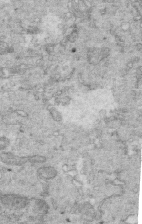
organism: Mouse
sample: Multiciliated cells